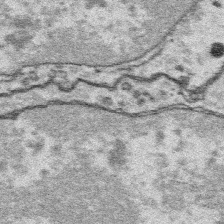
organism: Platynereis dumerilii